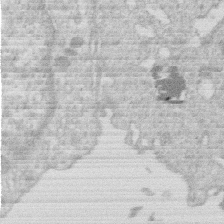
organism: Human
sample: Macrophage cells